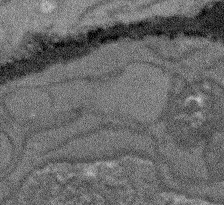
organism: Arabidopsis thaliana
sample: Root tip